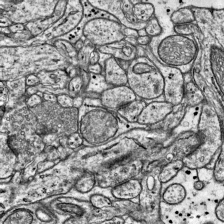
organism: Mouse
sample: Visual Cortex